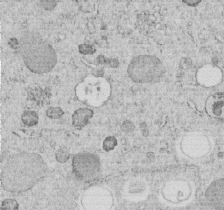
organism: C. elegans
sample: C. elegans embryo early stage